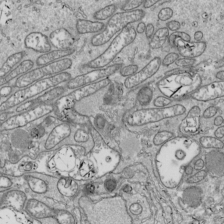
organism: Drosophila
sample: Cell division; meiosis; drosophila spermatocytes